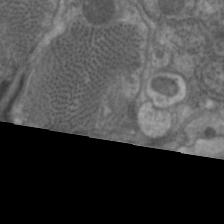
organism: C. elegans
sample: Pharynx